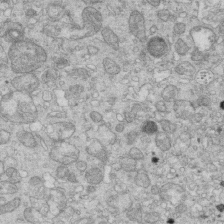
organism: Mouse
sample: Multiciliated cells